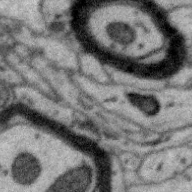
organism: Zebra finch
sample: Brain